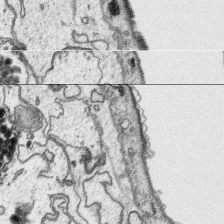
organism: Platynereis dumerilii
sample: Parapodia